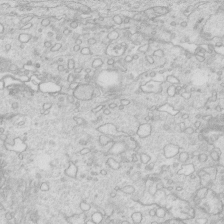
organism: Mouse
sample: Multiciliated cells